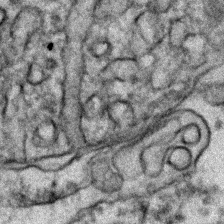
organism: Zebrafish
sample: Zebrafish embryo